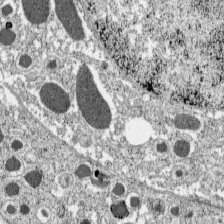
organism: C57BL Mouse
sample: Pancreatic islet